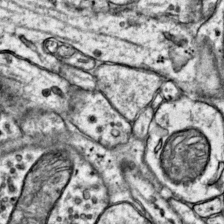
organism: Mouse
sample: Primary visual cortex